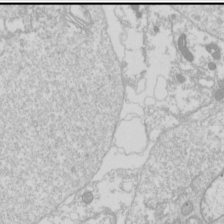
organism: Drosophila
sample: Cell division; meiosis; drosophila spermatocytes